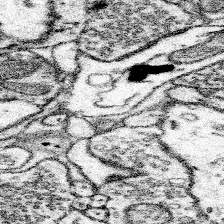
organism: Mouse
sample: Somatosensory cortex neuropil